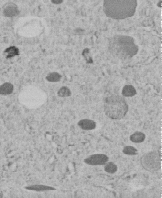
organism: C. elegans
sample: C. elegans embryo early stage